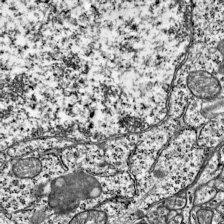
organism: Mouse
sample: Visual Cortex